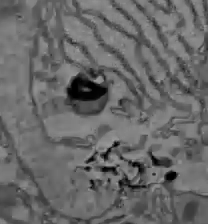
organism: C57BL Mouse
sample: Liver